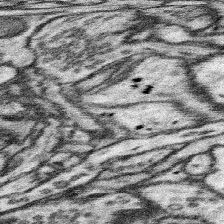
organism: Mouse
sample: Somatosensory cortex neuropil